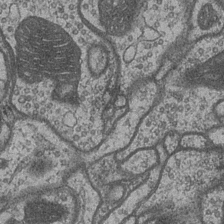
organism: Drosophila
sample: Optic medulla